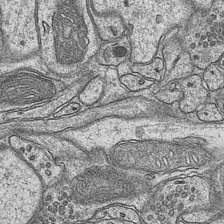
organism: Mouse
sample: CA1 Hippocampus